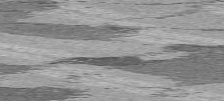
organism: C57BL Mouse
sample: Heart